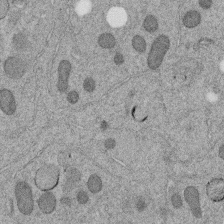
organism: C. elegans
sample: C. elegans embryo early stage